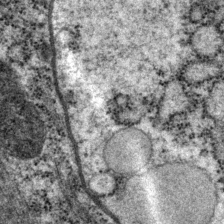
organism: P. pacificus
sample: Pharynx